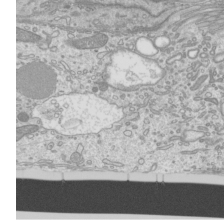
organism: Mouse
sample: Cilia; mouse epididymis